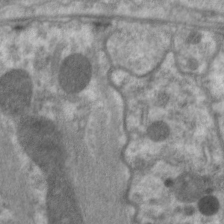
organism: C. elegans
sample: Pharynx